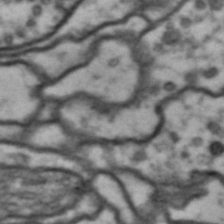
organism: Drosophila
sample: Brain